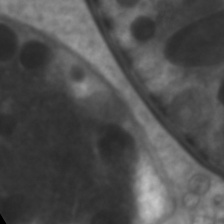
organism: C. elegans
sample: Pharynx